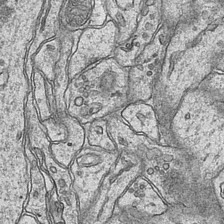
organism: Mouse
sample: CA1 Hippocampus